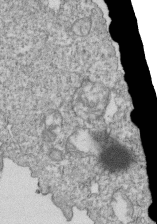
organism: Human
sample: HeLa cell HIV synapse